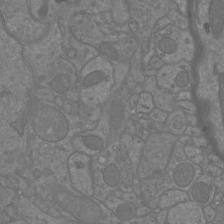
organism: Mouse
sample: Cortical neurons